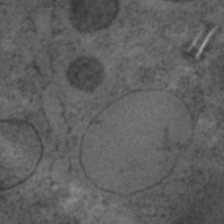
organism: C. elegans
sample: C. elegans embryo